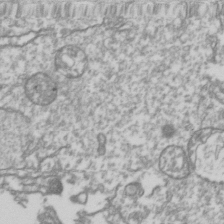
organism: Drosophila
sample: Cell division; meiosis; drosophila spermatocytes